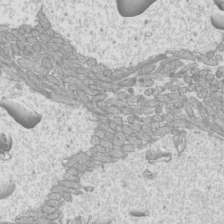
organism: Mouse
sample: Cilia; mouse epididymis